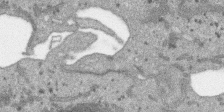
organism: Human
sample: Lung epithelial cells infected with SARS-CoV-2